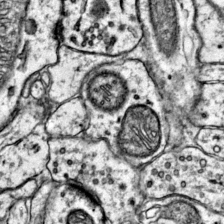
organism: Mouse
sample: Primary visual cortex